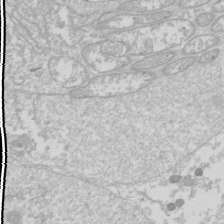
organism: Drosophila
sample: Cell division; meiosis; drosophila spermatocytes